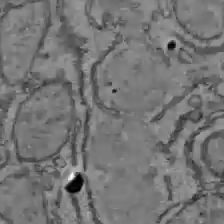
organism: C57BL Mouse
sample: Liver